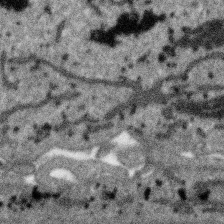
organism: Human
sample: Lung epithelial cells infected with SARS-CoV-2